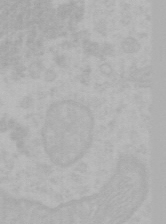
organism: Mouse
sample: Choroid plexus